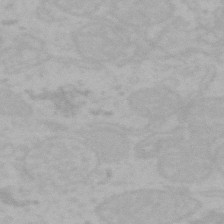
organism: Mouse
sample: Choroid plexus